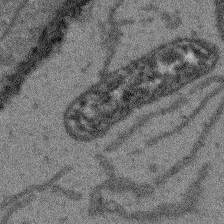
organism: Arabidopsis thaliana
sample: Root tip